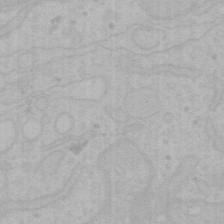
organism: Mouse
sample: Choroid plexus